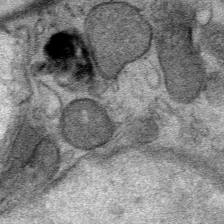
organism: Mouse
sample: Mouse Salivary gland